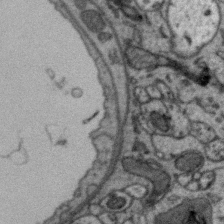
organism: Zebra finch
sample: Brain